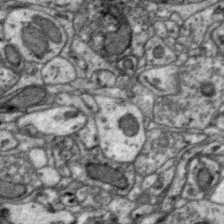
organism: Zebra finch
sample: Brain